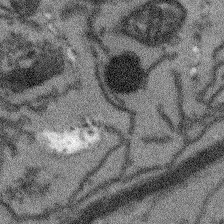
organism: Arabidopsis thaliana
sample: Root tip